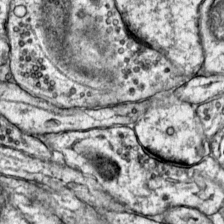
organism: Mouse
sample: Primary visual cortex